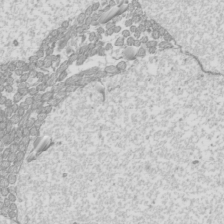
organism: Mouse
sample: Cilia; mouse epididymis